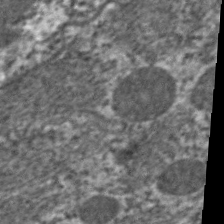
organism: C. elegans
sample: Pharynx